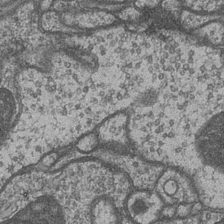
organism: Drosophila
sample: Optic medulla